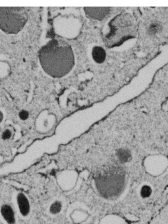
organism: C. elegans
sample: C. elegans embryo early stage